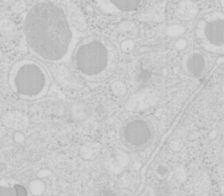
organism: Mouse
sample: Pancreas